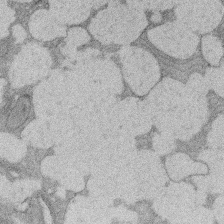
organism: Rat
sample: Salivary granule